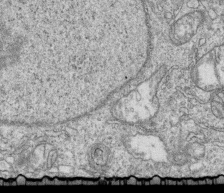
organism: Human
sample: HeLa cell HIV synapse